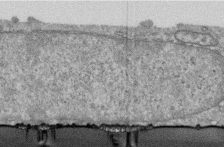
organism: Human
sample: Centriole in RPE cells